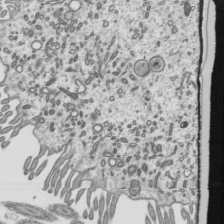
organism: Mouse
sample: Mouse epididymis efferent ductule cilia